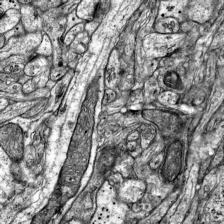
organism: Mouse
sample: Visual Cortex